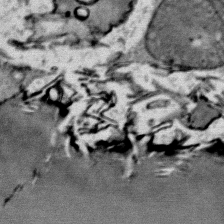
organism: Mouse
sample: Mouse Salivary gland